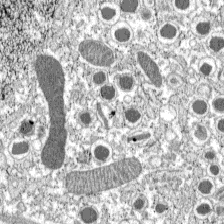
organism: C57BL Mouse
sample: Pancreatic islet